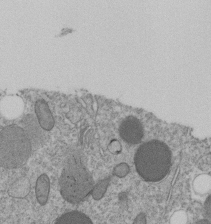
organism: C. elegans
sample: C. elegans embryo early stage